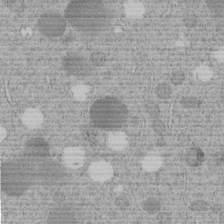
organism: C. elegans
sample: C. elegans embryo early stage